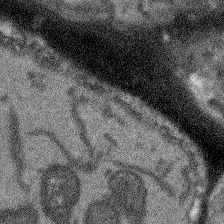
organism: Arabidopsis thaliana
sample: Root tip